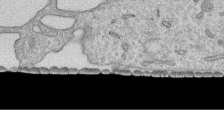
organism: Human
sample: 1205lu cells